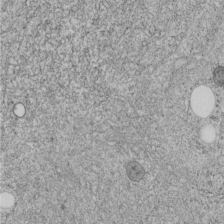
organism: C. elegans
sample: C. elegans embryo early stage